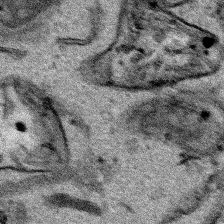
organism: Human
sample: Mitochondria in HCT116 cells